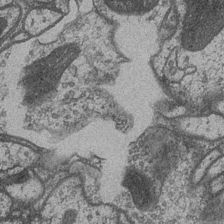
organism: Drosophila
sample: Optic medulla